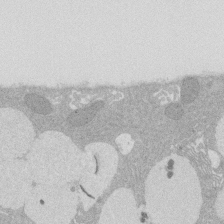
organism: Rat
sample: Salivary granule